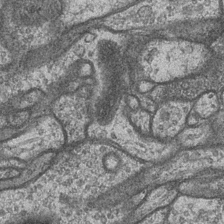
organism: Drosophila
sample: Optic medulla